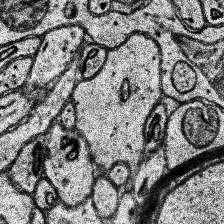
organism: Human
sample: Temporal Lobe